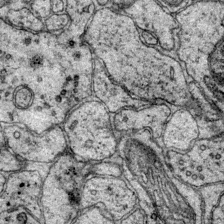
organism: Mouse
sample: Primary visual cortex